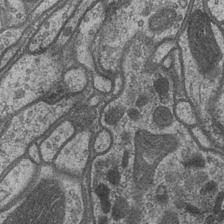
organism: Drosophila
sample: Optic medulla